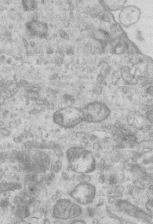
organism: Mouse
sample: Centriole in ependymal cells